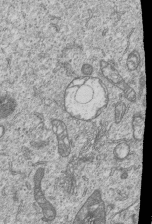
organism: Human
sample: MDA-MB-231 cells